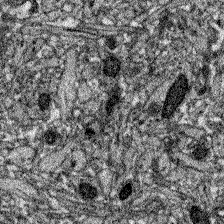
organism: Zebrafish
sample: Larval olfactory bulb